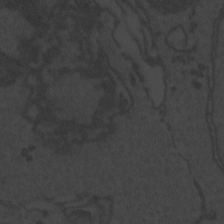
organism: Zebrafish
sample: Macrophage infected with Toxoplasma gondii